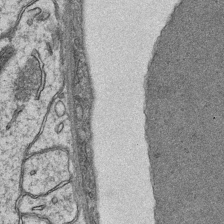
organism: Mouse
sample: CA1 Hippocampus